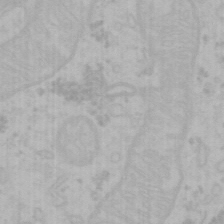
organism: Mouse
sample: Choroid plexus